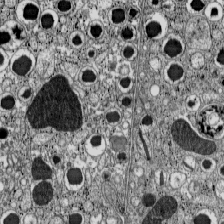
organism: C57BL Mouse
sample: Pancreatic islet